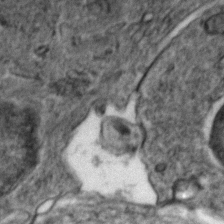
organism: Zebrafish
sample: Zebrafish embryo